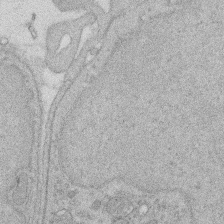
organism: Rat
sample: Salivary granule